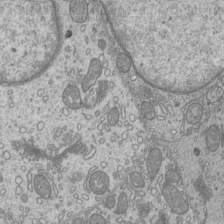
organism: Mouse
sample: Cilia; mouse epididymis